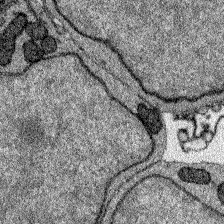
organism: Zebrafish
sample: Larval olfactory bulb